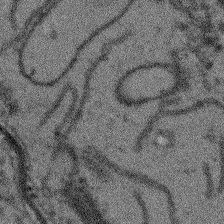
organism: Arabidopsis thaliana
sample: Root tip